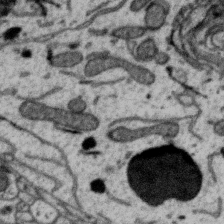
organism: Zebra finch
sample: Brain